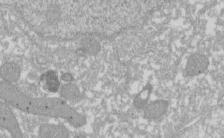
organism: Xenopus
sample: Cilia; centrioles in frog embryo cells